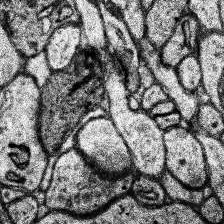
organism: Human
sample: Temporal Lobe